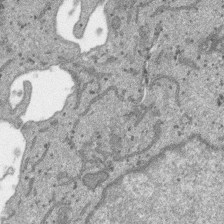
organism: Human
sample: Lung epithelial cells infected with SARS-CoV-2